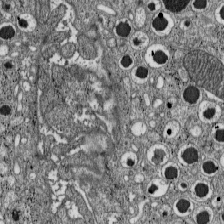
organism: C57BL Mouse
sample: Pancreatic islet